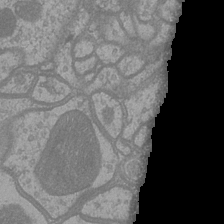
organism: Drosophila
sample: Optic medulla